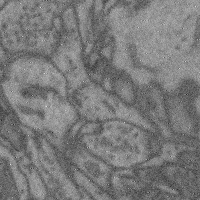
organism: Mouse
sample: Cerebral cortex